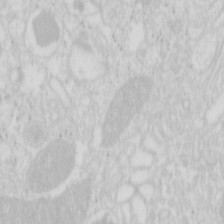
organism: Mouse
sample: Pancreas